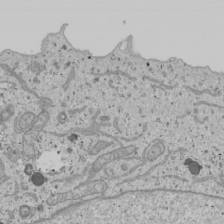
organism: Human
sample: Mitochondria in U2OS cells